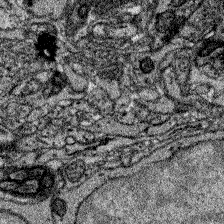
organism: Zebrafish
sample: Larval olfactory bulb